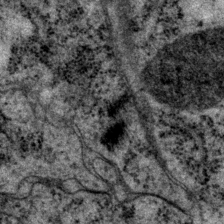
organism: P. pacificus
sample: Pharynx